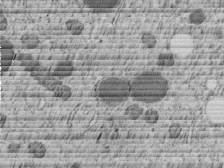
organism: C. elegans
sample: C. elegans embryo early stage